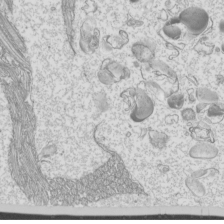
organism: Mouse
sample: Cilia; mouse epididymis